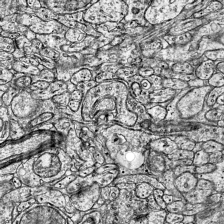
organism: Mouse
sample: Visual Cortex